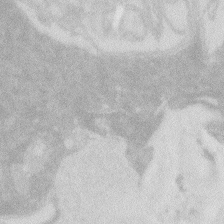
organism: Zebrafish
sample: Macrophage